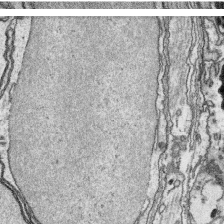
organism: Platynereis dumerilii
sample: Parapodia